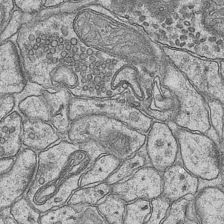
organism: Mouse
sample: CA1 Hippocampus